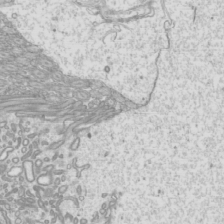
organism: Mouse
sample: Cilia; mouse epididymis